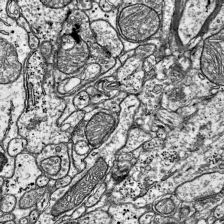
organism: Mouse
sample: Visual Cortex